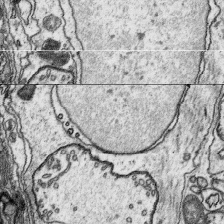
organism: Platynereis dumerilii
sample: Parapodia